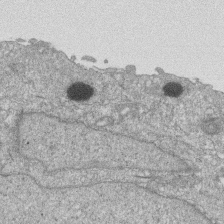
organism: Human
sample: HeLa cell HIV synapse